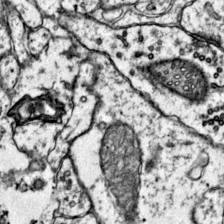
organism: Mouse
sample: Primary visual cortex